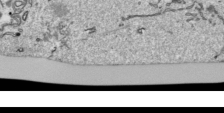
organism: Human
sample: Mitochondria in HCT116 cells